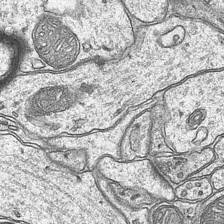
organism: Mouse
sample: CA1 Hippocampus